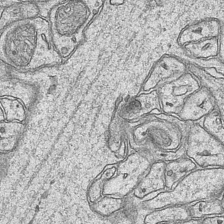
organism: Mouse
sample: CA1 Hippocampus